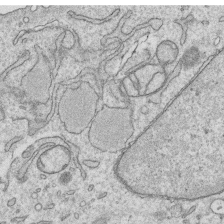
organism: Human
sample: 1205lu cells